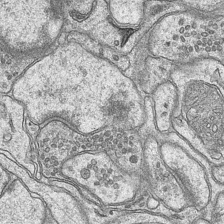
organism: Mouse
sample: CA1 Hippocampus